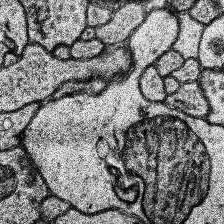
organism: Human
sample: Temporal Lobe